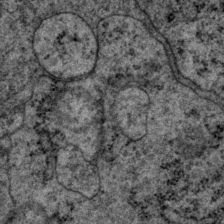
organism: P. pacificus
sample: Pharynx